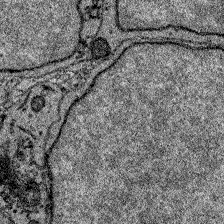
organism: Zebrafish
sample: Larval olfactory bulb